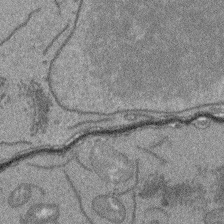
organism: Arabidopsis thaliana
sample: Root tip